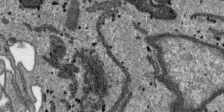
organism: Human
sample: Lung epithelial cells, uninfected (mock) control